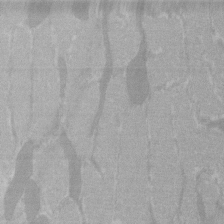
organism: C57BL Mouse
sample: Tibialis anterior muscle cell